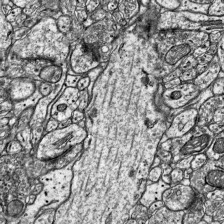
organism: Mouse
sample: Visual Cortex